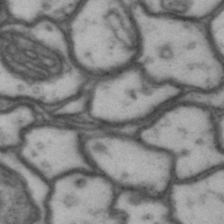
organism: Drosophila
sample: Brain